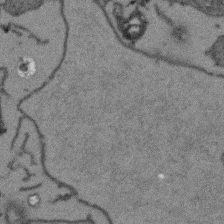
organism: Arabidopsis thaliana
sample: Root tip